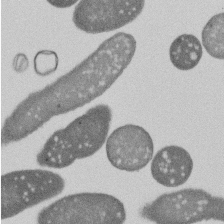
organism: E. coli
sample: Bacterial nucleoid